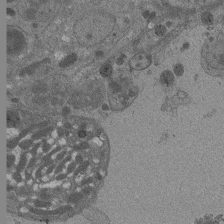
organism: Drosophila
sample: Antenna